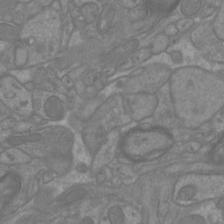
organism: Mouse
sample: Cortical neurons